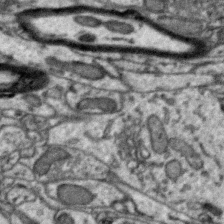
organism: Zebra finch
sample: Brain